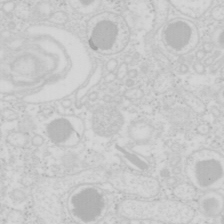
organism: Mouse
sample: Pancreas